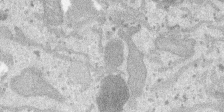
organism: Human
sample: Lung epithelial cells infected with SARS-CoV-2